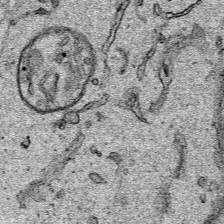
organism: Human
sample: Mitochondria in HCT116 cells